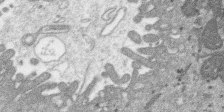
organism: Human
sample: Lung epithelial cells infected with SARS-CoV-2